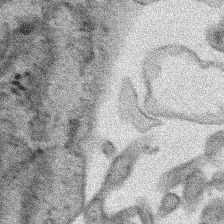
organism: Human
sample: Mitochondria in HCT116 cells